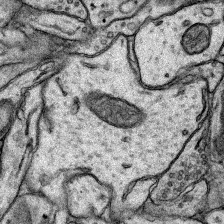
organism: Rat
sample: Hippocampus